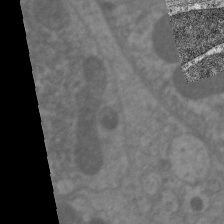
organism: C. elegans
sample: Pharynx